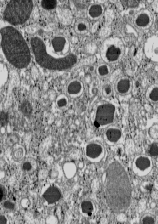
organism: C57BL Mouse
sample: Pancreatic islet